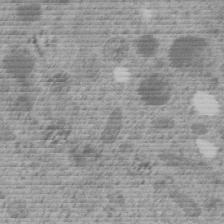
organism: C. elegans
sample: C. elegans embryo early stage